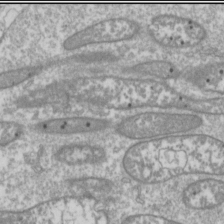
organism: Drosophila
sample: Cell division; meiosis; drosophila spermatocytes